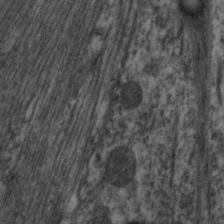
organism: C. elegans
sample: Pharynx